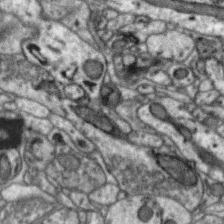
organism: Zebra finch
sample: Brain